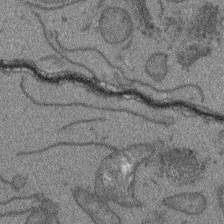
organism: Arabidopsis thaliana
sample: Root tip